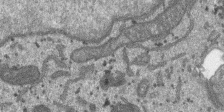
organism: Human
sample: Lung epithelial cells infected with SARS-CoV-2